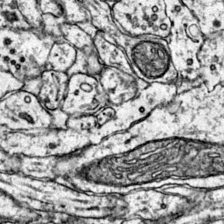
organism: Mouse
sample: Primary visual cortex